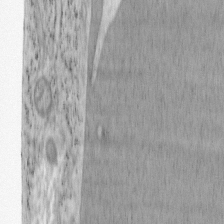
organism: Human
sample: HeLa cells